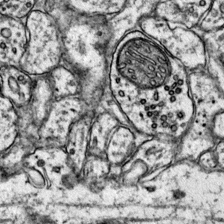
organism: Mouse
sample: Primary visual cortex